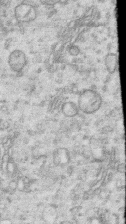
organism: Human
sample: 1205lu cells